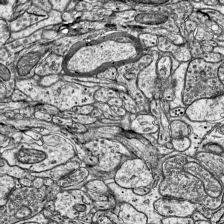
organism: Mouse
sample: Visual Cortex